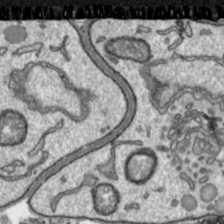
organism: Toxoplasma gondii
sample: Parasites in a vacuole inside a host cell